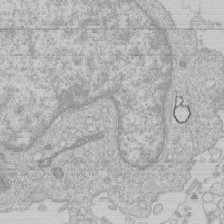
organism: Human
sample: Macrophage cells